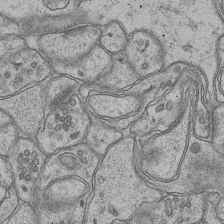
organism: Mouse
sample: CA1 Hippocampus